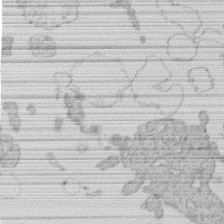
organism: Human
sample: Macrophage cells